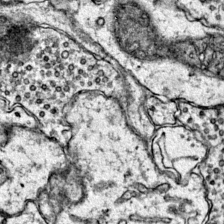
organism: Mouse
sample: Primary visual cortex